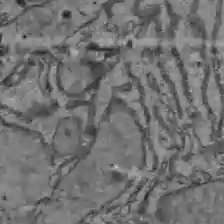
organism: C57BL Mouse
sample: Liver